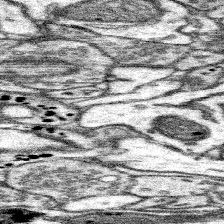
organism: Mouse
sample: Somatosensory cortex neuropil